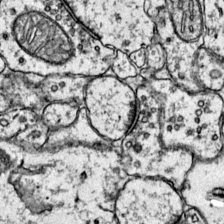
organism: Mouse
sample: Primary visual cortex